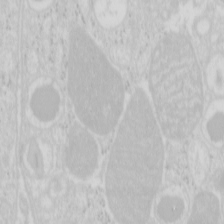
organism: Mouse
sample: Pancreas